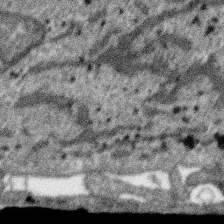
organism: Human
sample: Lung epithelial cells infected with SARS-CoV-2